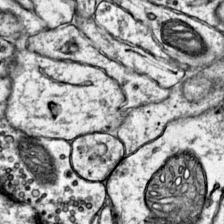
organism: Mouse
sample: Primary visual cortex